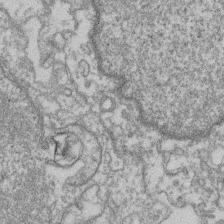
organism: Mouse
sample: T cell stromal cell synapse